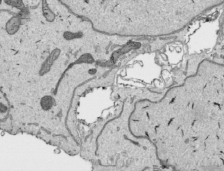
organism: Human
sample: Mitochondria in HCT116 cells